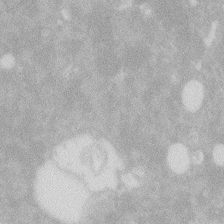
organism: Zebrafish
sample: Macrophage